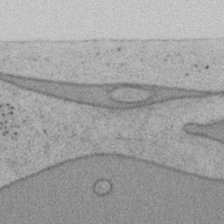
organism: Human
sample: HeLa cells